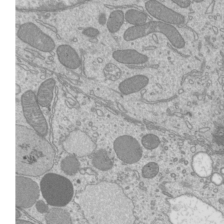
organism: Mouse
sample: Cilia; mouse epididymis